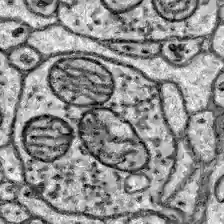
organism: Zebrafish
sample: Brain